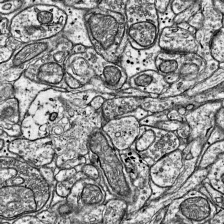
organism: Mouse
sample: Visual Cortex